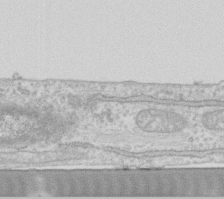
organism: Human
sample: Fibroblast cells